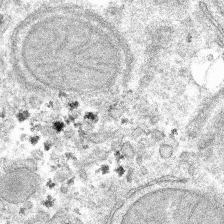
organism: Mouse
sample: Mouse hepatocytes